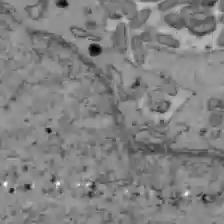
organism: C57BL Mouse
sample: Liver